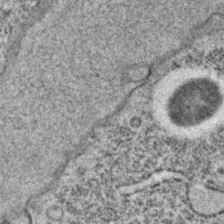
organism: C. elegans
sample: C. elegans embryo